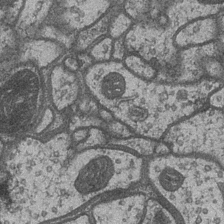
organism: Drosophila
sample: Optic medulla